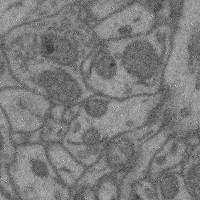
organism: Mouse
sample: Cerebral cortex